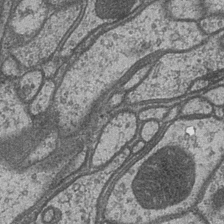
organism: Drosophila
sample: Optic medulla